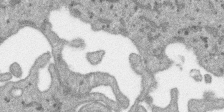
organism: Human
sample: Lung epithelial cells infected with SARS-CoV-2